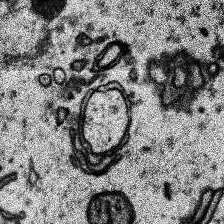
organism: Human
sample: Temporal Lobe